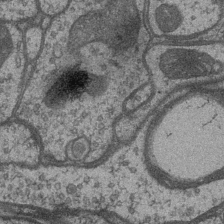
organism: Drosophila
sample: Optic medulla